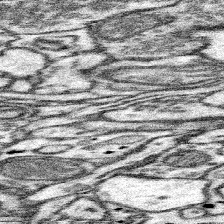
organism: Mouse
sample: Somatosensory cortex neuropil